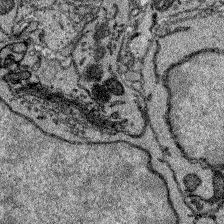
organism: Zebrafish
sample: Larval olfactory bulb